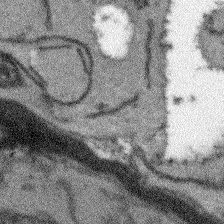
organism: Arabidopsis thaliana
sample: Root tip